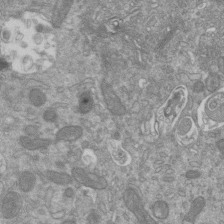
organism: Mouse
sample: ED-1 cell nuclei; centrioles